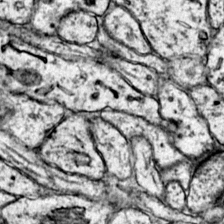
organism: Mouse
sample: Primary visual cortex